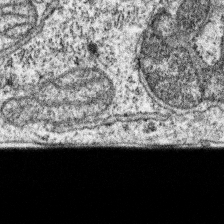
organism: Human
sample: HeLa cells